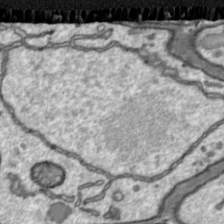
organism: Toxoplasma gondii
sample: Parasites in a vacuole inside a host cell